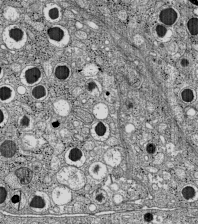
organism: C57BL Mouse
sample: Pancreatic islet